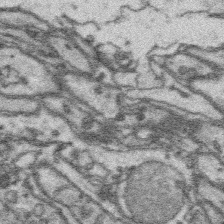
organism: Platynereis dumerilii